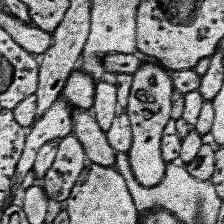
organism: Human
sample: Temporal Lobe